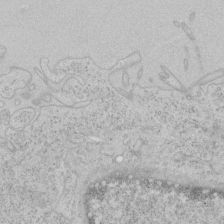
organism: Human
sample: Mitochondria in HCT116 cells